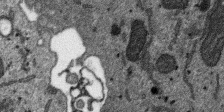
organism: Human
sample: Lung epithelial cells infected with SARS-CoV-2